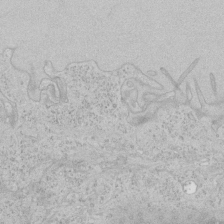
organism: Human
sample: Mitochondria in HCT116 cells